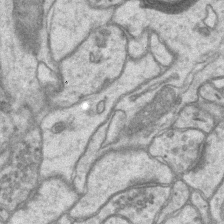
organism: Mouse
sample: CA1 Hippocampus